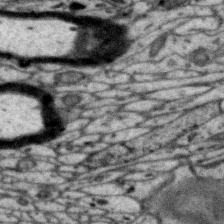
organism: Zebra finch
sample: Brain